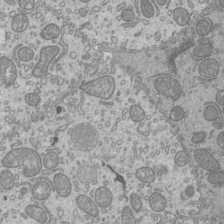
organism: Mouse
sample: Cilia; mouse epididymis